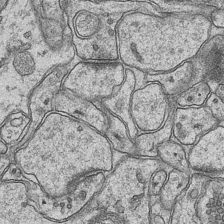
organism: Mouse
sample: CA1 Hippocampus